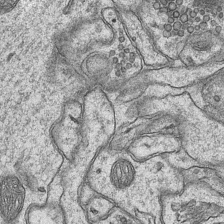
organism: Mouse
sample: CA1 Hippocampus